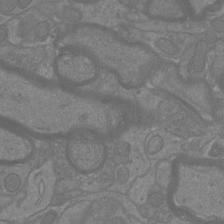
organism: Mouse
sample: Cortical neurons